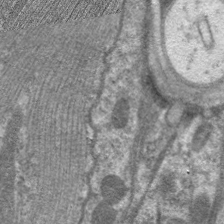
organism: C. elegans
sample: Pharynx